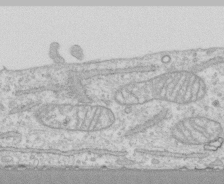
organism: Human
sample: CRL-1474